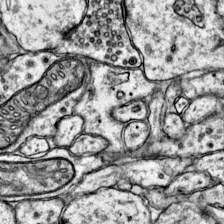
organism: Mouse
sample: Primary visual cortex